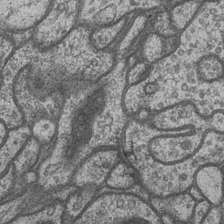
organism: Drosophila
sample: Optic medulla